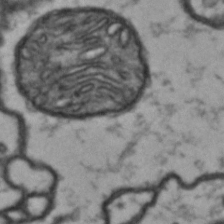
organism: Drosophila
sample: Brain